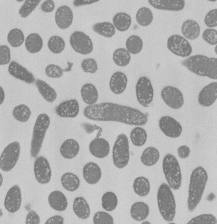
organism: E. coli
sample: Bacterial nucleoid